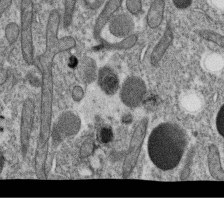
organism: C. elegans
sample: C. elegans oocyte; sperm cells